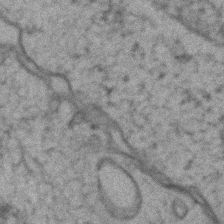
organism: Zebrafish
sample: Zebrafish embryo